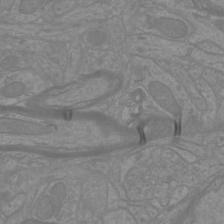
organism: Mouse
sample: Cortical neurons